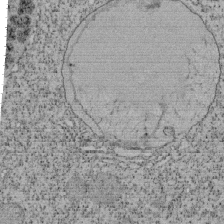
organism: Tetrahymena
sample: Cilia in tetrahymena